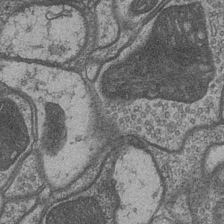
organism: Drosophila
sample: Optic medulla